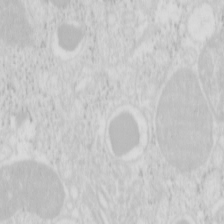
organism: Mouse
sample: Pancreas